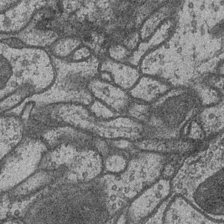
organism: Drosophila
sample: Optic medulla